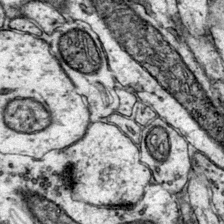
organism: Mouse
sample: Primary visual cortex